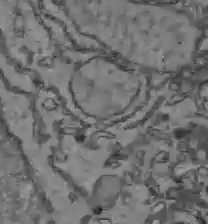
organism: C57BL Mouse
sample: Liver